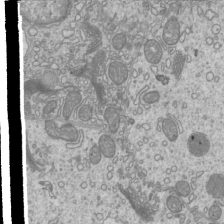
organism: Mouse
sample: Cilia; mouse epididymis